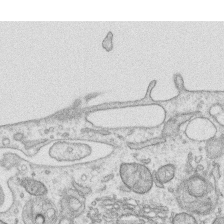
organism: Human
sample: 1205lu cells